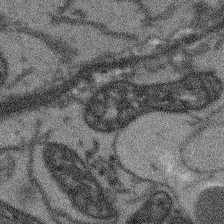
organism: Arabidopsis thaliana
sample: Root tip